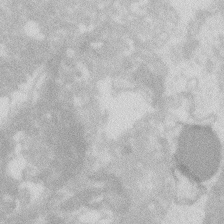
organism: Zebrafish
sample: Macrophage